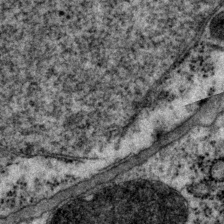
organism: P. pacificus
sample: Pharynx